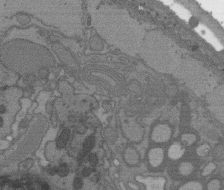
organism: C. elegans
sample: AFD neurons C. elegans